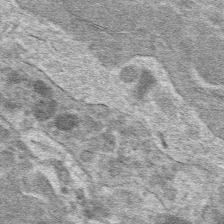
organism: Mouse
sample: Mouse hepatocytes